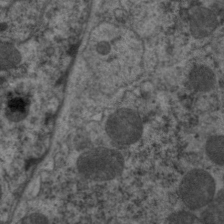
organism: C. elegans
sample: Pharynx